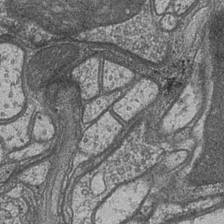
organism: Drosophila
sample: Optic medulla